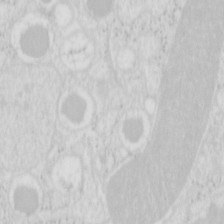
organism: Mouse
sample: Pancreas